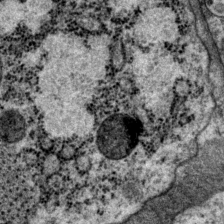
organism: P. pacificus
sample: Pharynx